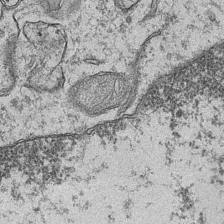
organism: Mouse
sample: CA1 Hippocampus